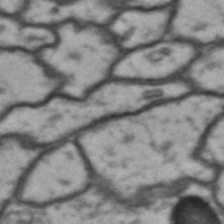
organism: Drosophila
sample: Brain